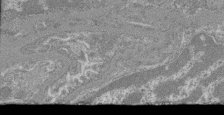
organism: Mouse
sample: Glomerulus